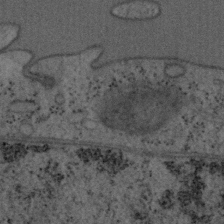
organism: Human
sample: HeLa cells